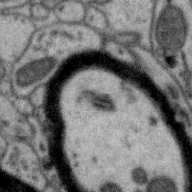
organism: Zebra finch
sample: Brain